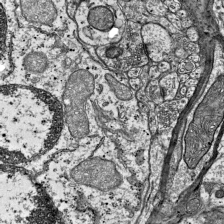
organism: Mouse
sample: Visual Cortex